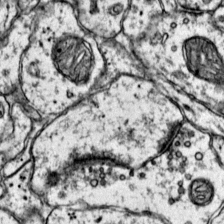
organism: Mouse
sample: Primary visual cortex